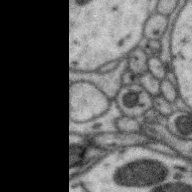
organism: Zebra finch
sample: Brain